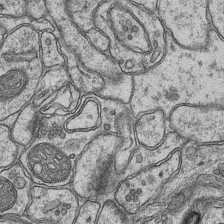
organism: Mouse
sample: CA1 Hippocampus